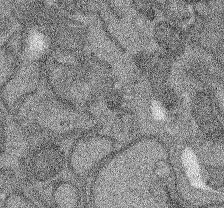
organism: Human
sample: HeLa cells